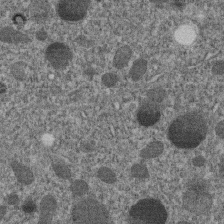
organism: C. elegans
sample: C. elegans embryo early stage